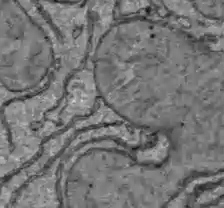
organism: C57BL Mouse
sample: Liver